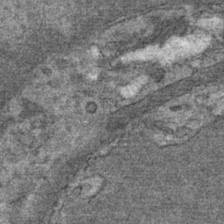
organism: Mouse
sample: Mouse Salivary gland